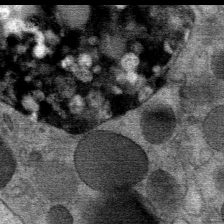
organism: Mouse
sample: Mouse Salivary gland